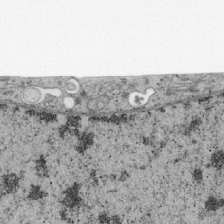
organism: Human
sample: HeLa cells